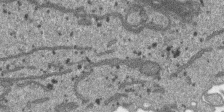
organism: Human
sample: Lung epithelial cells infected with SARS-CoV-2